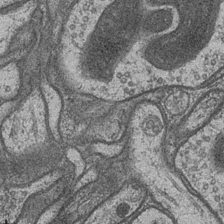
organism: Drosophila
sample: Optic medulla